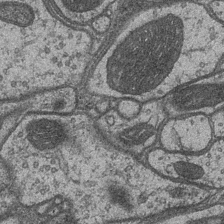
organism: Drosophila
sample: Optic medulla